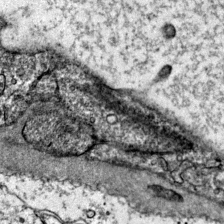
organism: Mouse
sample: Primary visual cortex